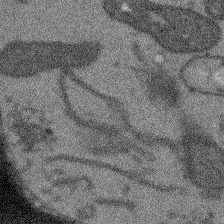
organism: Arabidopsis thaliana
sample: Root tip